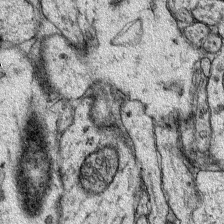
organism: Mouse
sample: Primary visual cortex